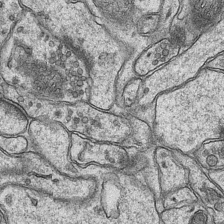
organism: Mouse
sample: CA1 Hippocampus